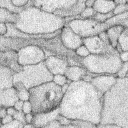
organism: Rabbit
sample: Retina